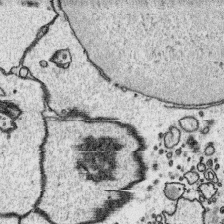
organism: Platynereis dumerilii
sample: Parapodia